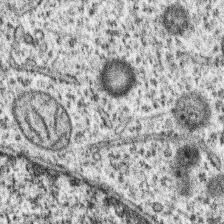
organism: Human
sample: HeLa cells